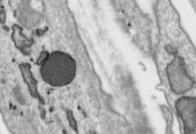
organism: Toxoplasma gondii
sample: Parasites in a vacuole inside a host cell